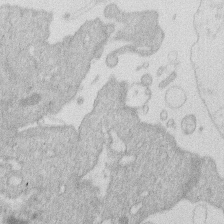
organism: Human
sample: Macrophage cells